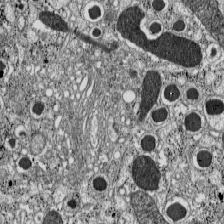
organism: C57BL Mouse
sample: Pancreatic islet